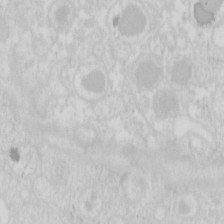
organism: Mouse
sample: Pancreas